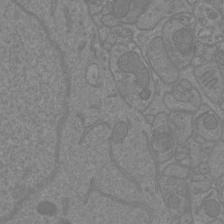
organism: Mouse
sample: Cortical neurons